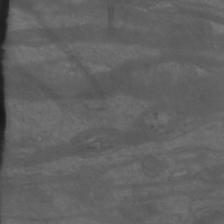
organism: Mouse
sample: Cortical neurons